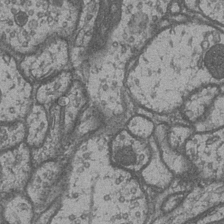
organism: Drosophila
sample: Optic medulla